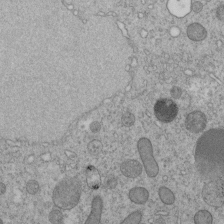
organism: C. elegans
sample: C. elegans embryo early stage